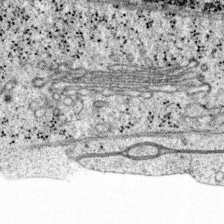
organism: Human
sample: HeLa cells